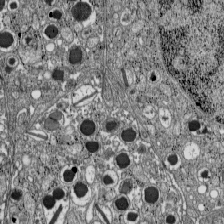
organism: C57BL Mouse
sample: Pancreatic islet